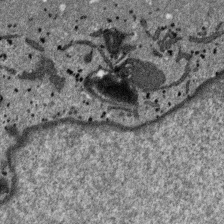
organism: Human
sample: Lung epithelial cells, uninfected (mock) control